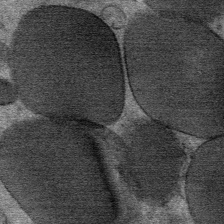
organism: Mouse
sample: Mouse Salivary gland